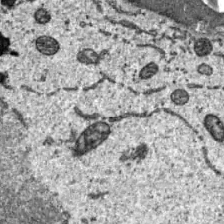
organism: Human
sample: HeLa cells